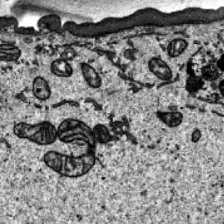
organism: Human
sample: HeLa cells